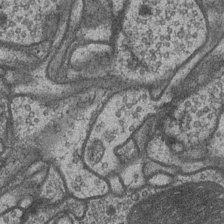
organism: Drosophila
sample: Optic medulla